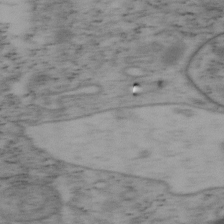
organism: Mouse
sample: OT-I killer T cells with ID8 ovarian cancer cells